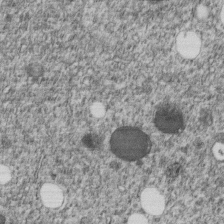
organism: C. elegans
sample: C. elegans embryo early stage